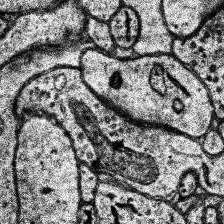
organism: Human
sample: Temporal Lobe